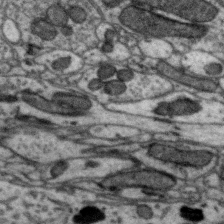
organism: Zebra finch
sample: Brain